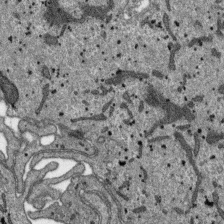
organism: Human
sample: Lung epithelial cells, uninfected (mock) control